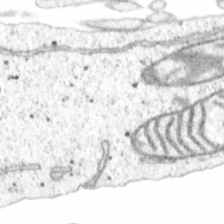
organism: Human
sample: HeLa cells